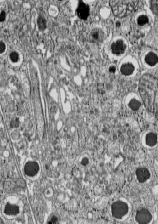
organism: C57BL Mouse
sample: Pancreatic islet